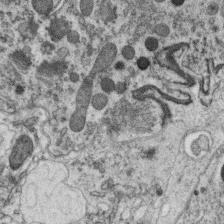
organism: C. elegans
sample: C. elegans oocyte; sperm cells